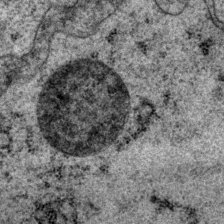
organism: P. pacificus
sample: Pharynx